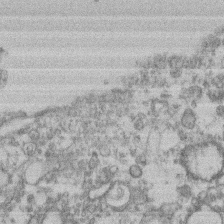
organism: Mouse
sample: T cell stromal cell synapse